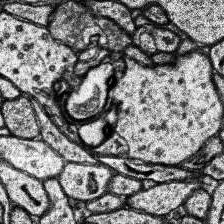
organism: Human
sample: Temporal Lobe